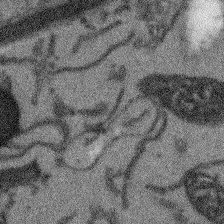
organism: Arabidopsis thaliana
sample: Root tip